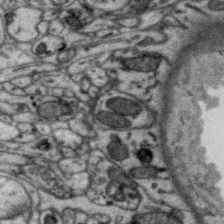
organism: Zebra finch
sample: Brain